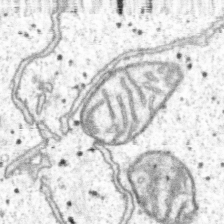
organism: Human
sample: HeLa cells